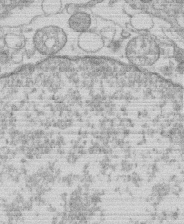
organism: Human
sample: Macrophage cells